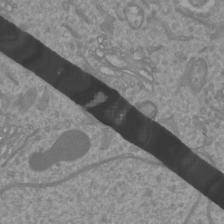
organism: Mouse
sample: Cortical neurons